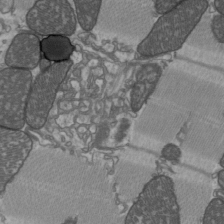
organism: C57BL Mouse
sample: Heart